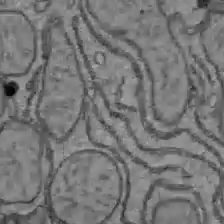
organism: C57BL Mouse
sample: Liver